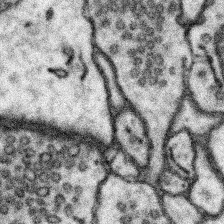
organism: Mouse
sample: Somatosensory cortex neuropil